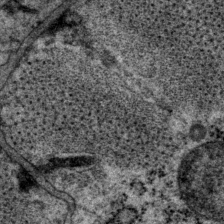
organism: P. pacificus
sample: Pharynx